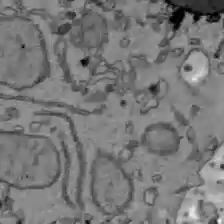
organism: C57BL Mouse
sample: Liver